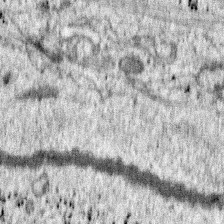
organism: Human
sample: HeLa cells